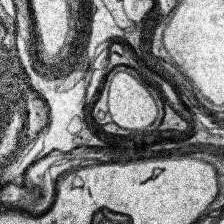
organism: Human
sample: Temporal Lobe